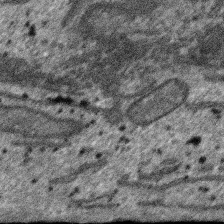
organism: Human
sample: Lung epithelial cells infected with SARS-CoV-2